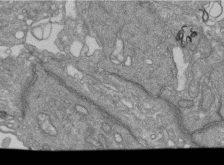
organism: Human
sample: Retinal organoid Rod and Cone cells